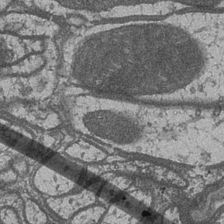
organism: Drosophila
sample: Optic medulla